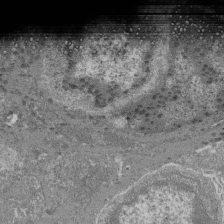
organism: Mouse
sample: Glomerulus